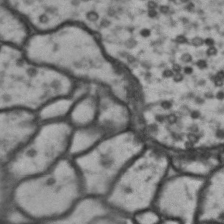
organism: Drosophila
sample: Brain